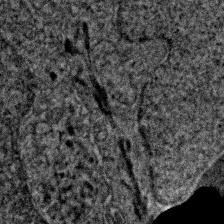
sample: Trachea